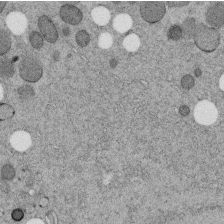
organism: C. elegans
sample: C. elegans embryo early stage